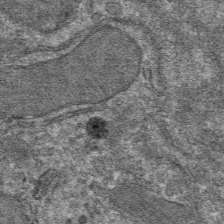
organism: Mouse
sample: Mouse hepatocytes